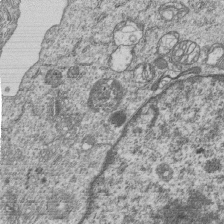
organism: Human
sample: MDA-MB-231 cells